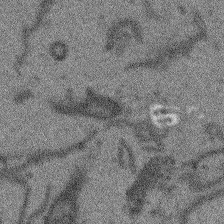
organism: Arabidopsis thaliana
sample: Root tip